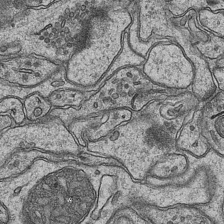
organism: Mouse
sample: CA1 Hippocampus